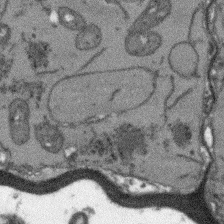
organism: Arabidopsis thaliana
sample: Root tip